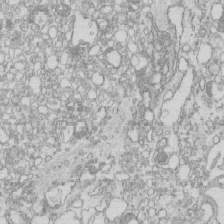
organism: Mouse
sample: Macrophages